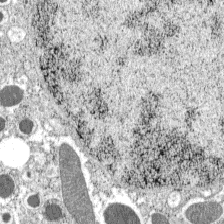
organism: C57BL Mouse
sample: Pancreatic islet